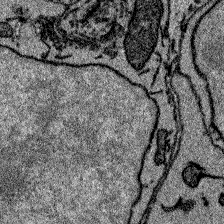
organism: Zebrafish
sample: Larval olfactory bulb